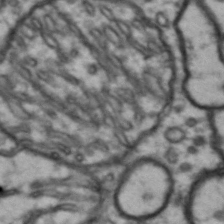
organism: Drosophila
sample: Brain